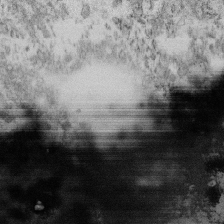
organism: Mouse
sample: Cilia; retinal pigment epithelium